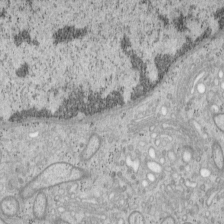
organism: Mouse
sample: OT-I killer T cells with ID8 ovarian cancer cells